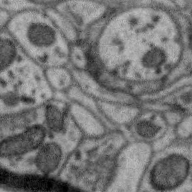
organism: Zebra finch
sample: Brain